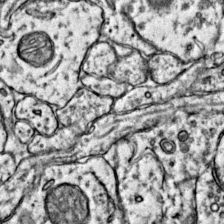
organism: Mouse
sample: Primary visual cortex